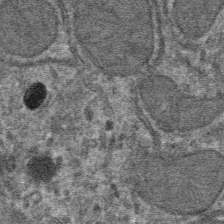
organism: Mouse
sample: Mouse hepatocytes